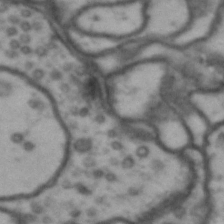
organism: Drosophila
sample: Brain